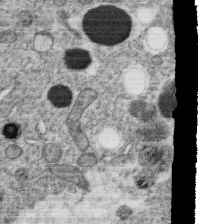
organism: C. elegans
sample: C. elegans oocyte; sperm cells